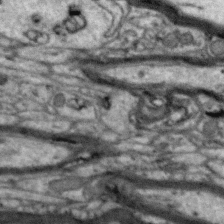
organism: Zebra finch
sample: Brain